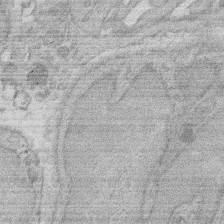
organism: Rat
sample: Salivary granule